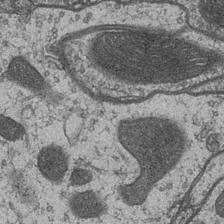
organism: Drosophila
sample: Optic medulla